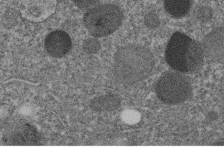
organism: C. elegans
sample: C. elegans embryo early stage